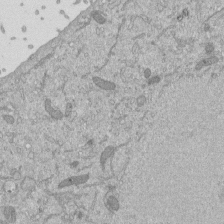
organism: Mouse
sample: ED-1 cell nuclei; centrioles